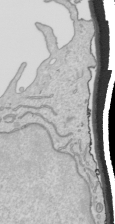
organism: Human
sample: Mitochondria in HCT116 cells